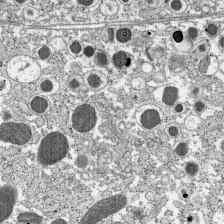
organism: C57BL Mouse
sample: Pancreatic islet